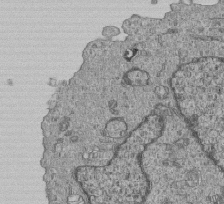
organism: Human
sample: MDA-MB-231 cells